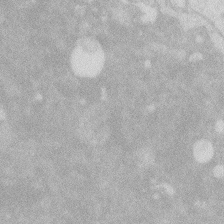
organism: Zebrafish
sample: Macrophage